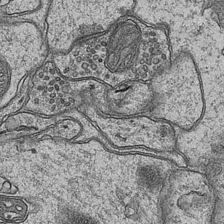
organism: Mouse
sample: CA1 Hippocampus